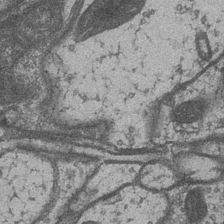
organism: Drosophila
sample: Optic medulla